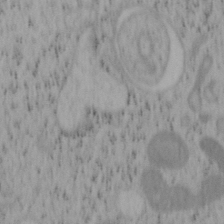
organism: Mouse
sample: OT-I killer T cells with ID8 ovarian cancer cells